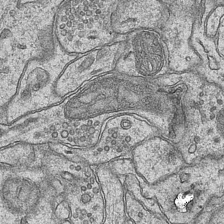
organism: Mouse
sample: CA1 Hippocampus